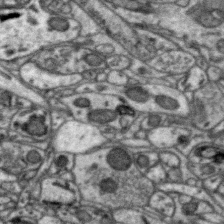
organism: Zebra finch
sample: Brain